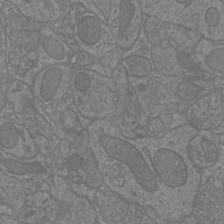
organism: Mouse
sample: Cortical neurons